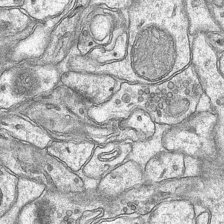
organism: Mouse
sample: CA1 Hippocampus